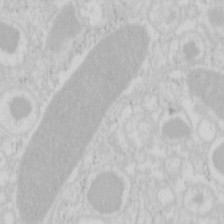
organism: Mouse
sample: Pancreas